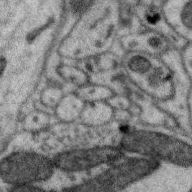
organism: Zebra finch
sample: Brain